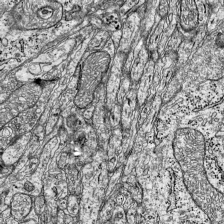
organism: Mouse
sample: Visual Cortex